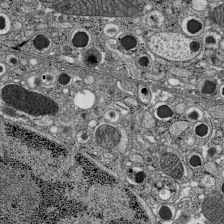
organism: C57BL Mouse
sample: Pancreatic islet